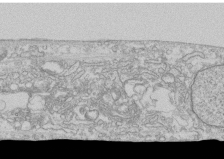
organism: Human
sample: CRL-1474